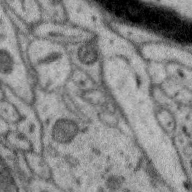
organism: Zebra finch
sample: Brain